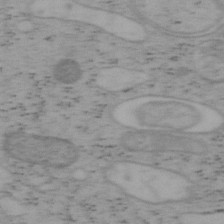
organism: Mouse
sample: OT-I killer T cells with ID8 ovarian cancer cells